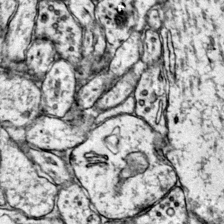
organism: Mouse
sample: Primary visual cortex